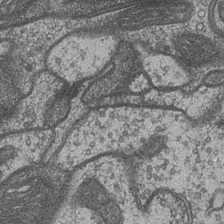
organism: Drosophila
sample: Optic medulla